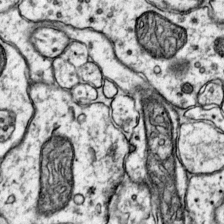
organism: Mouse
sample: Primary visual cortex